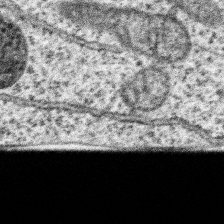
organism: Human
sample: HeLa cells